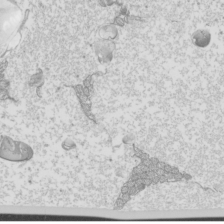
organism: Mouse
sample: Cilia; mouse epididymis